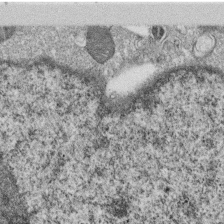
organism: African green monkey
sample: Vero E6 cells infected with SARS-CoV-2